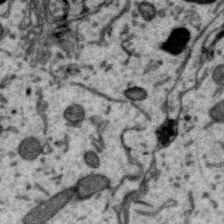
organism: Zebra finch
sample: Brain